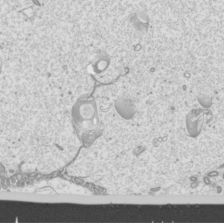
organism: Mouse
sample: Cilia; mouse epididymis